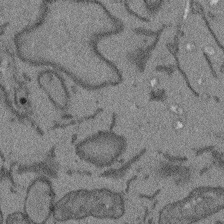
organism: Arabidopsis thaliana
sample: Root tip